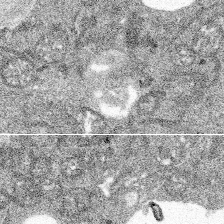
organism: Spongilla lacustris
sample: Multiple